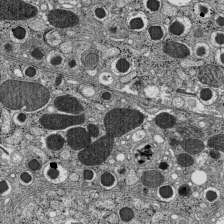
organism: C57BL Mouse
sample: Pancreatic islet